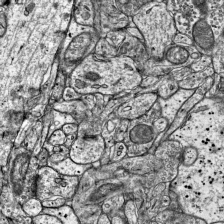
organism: Mouse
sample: Visual Cortex